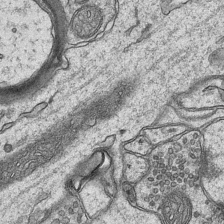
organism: Mouse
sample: CA1 Hippocampus